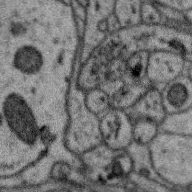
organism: Zebra finch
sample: Brain